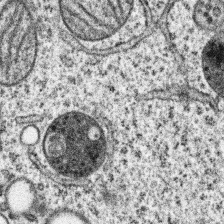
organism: Human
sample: HeLa cells